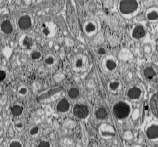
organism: C57BL Mouse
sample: Pancreatic islet